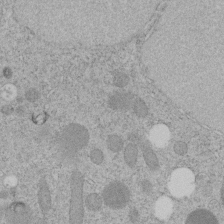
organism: C. elegans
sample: C. elegans embryo early stage